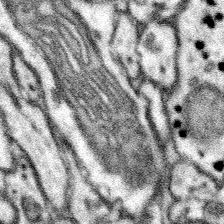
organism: Mouse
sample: Somatosensory cortex neuropil